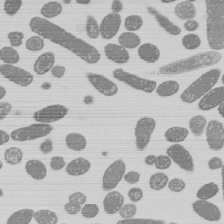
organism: E. coli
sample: Bacterial nucleoid